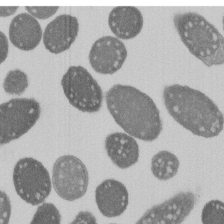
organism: E. coli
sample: Bacterial nucleoid